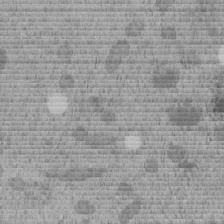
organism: C. elegans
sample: C. elegans embryo early stage